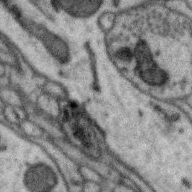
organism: Zebra finch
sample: Brain